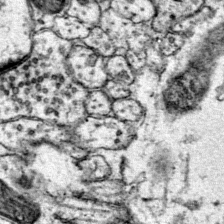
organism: Mouse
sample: Primary visual cortex